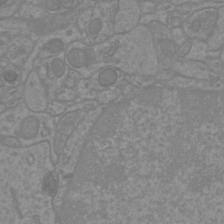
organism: Mouse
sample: Cortical neurons